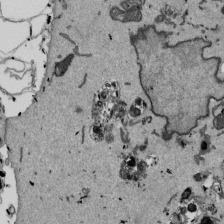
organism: Mouse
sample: ED-1 cell nuclei; centrioles